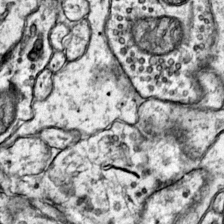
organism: Mouse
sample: Primary visual cortex